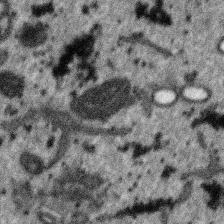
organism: Human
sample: Lung epithelial cells infected with SARS-CoV-2